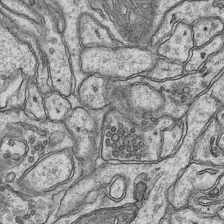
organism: Mouse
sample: CA1 Hippocampus